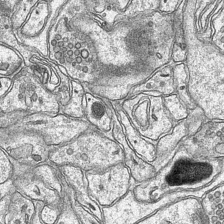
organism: Mouse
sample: CA1 Hippocampus